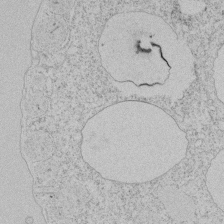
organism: Tetrahymena